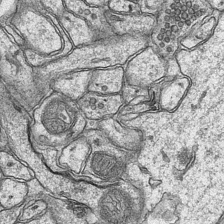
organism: Mouse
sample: CA1 Hippocampus